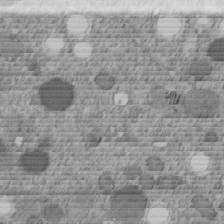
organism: C. elegans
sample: C. elegans embryo early stage